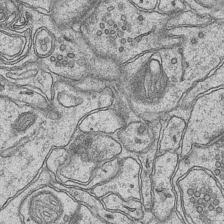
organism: Mouse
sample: CA1 Hippocampus